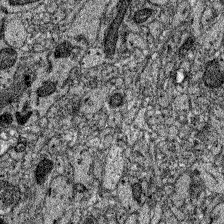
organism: Zebrafish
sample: Larval olfactory bulb